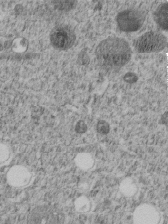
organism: C. elegans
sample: C. elegans embryo early stage